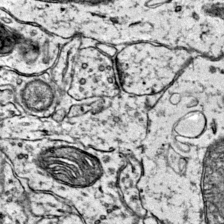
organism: Mouse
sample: Primary visual cortex